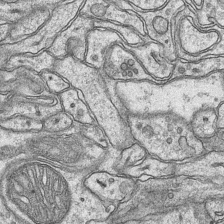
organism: Mouse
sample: CA1 Hippocampus